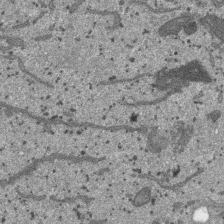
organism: Human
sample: Lung epithelial cells infected with SARS-CoV-2